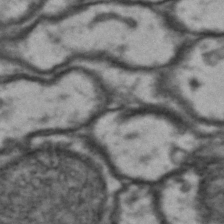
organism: Drosophila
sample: Brain